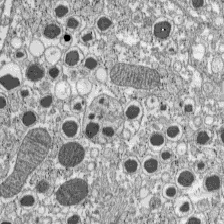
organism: C57BL Mouse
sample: Pancreatic islet